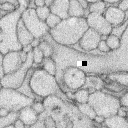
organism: Rabbit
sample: Retina